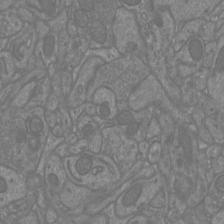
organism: Mouse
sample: Cortical neurons